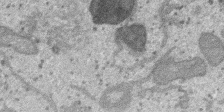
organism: Human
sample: Lung epithelial cells infected with SARS-CoV-2